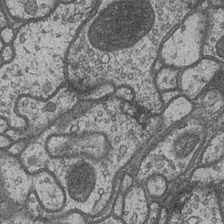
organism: Drosophila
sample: Optic medulla